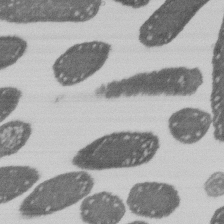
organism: E. coli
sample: Bacterial nucleoid